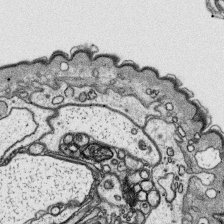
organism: Platynereis dumerilii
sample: Parapodia